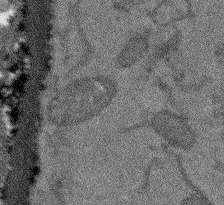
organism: Arabidopsis thaliana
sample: Root tip